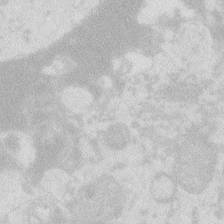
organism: Zebrafish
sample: Macrophage